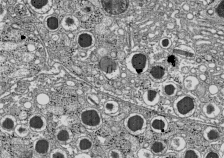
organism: C57BL Mouse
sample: Pancreatic islet